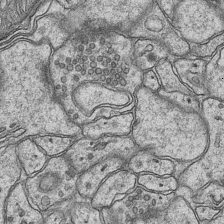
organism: Mouse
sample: CA1 Hippocampus